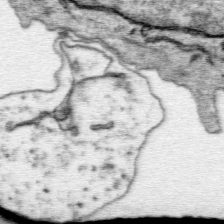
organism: Human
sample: HeLa cells